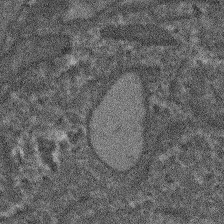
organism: Arabidopsis thaliana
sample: Root tip